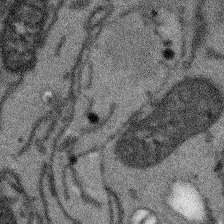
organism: Arabidopsis thaliana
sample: Root tip